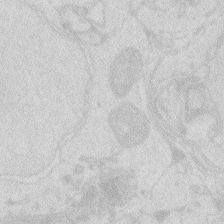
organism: Zebrafish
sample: Macrophage